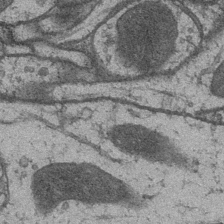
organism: Drosophila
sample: Optic medulla